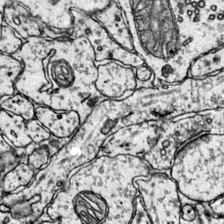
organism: Mouse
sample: Primary visual cortex